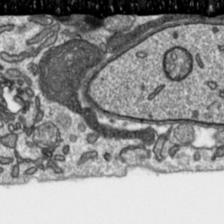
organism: Toxoplasma gondii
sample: Parasites in a vacuole inside a host cell